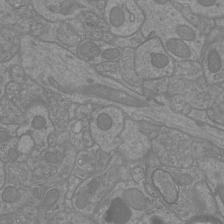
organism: Mouse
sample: Cortical neurons